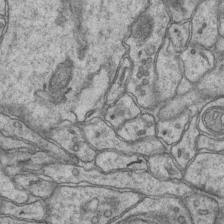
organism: Mouse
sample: CA1 Hippocampus